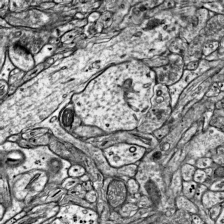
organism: Mouse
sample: Visual Cortex